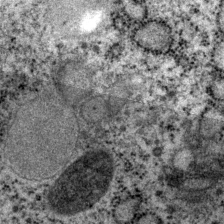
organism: P. pacificus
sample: Pharynx